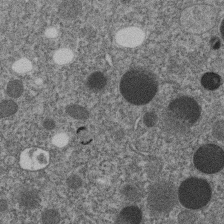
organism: C. elegans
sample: C. elegans embryo early stage